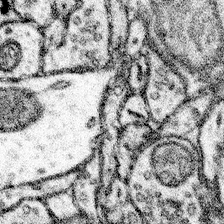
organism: Mouse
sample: Somatosensory cortex neuropil